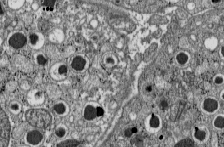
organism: C57BL Mouse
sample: Pancreatic islet